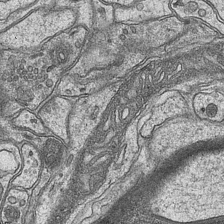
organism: Mouse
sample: CA1 Hippocampus